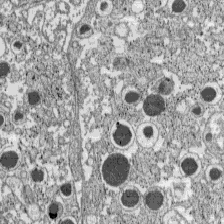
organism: C57BL Mouse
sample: Pancreatic islet